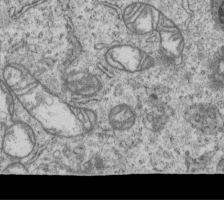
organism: Human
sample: MDA-MB-231 cells